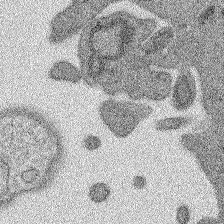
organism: Human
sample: HeLa cells